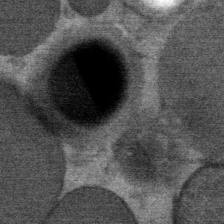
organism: Mouse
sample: Mouse Salivary gland